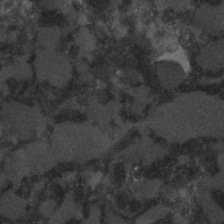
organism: C. elegans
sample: C. elegans embryo